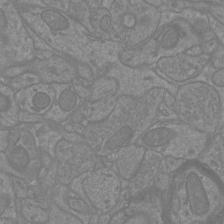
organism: Mouse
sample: Cortical neurons